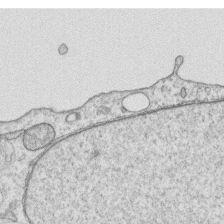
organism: Human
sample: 1205lu cells